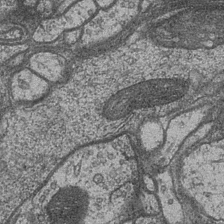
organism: Drosophila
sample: Optic medulla